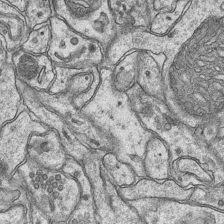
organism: Mouse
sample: CA1 Hippocampus